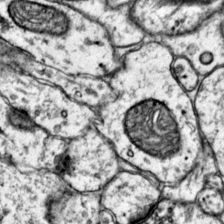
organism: Mouse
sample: Primary visual cortex